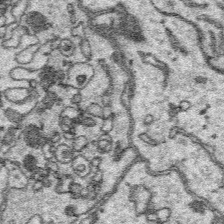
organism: Platynereis dumerilii